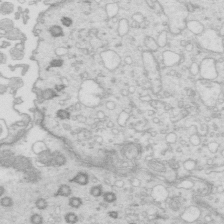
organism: Mouse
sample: Multiciliated cells